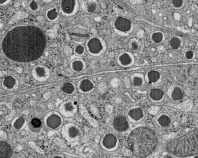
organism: C57BL Mouse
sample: Pancreatic islet